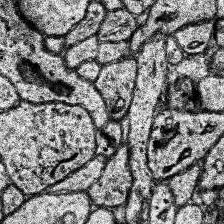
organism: Human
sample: Temporal Lobe